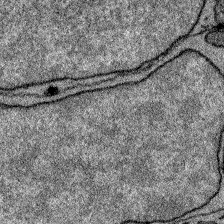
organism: Zebrafish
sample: Larval olfactory bulb